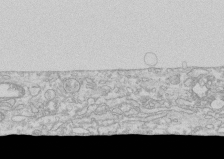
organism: Human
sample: CRL-1474